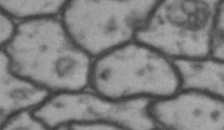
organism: Drosophila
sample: Brain